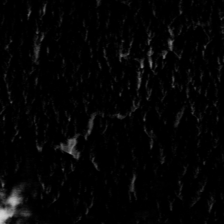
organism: Toxoplasma gondii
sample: Parasites in a vacuole inside a host cell